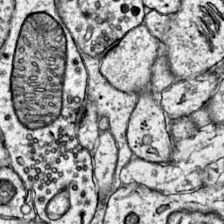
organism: Mouse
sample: Primary visual cortex